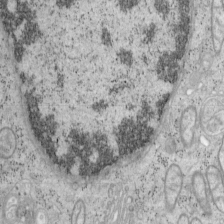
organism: Mouse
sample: OT-I killer T cells with ID8 ovarian cancer cells